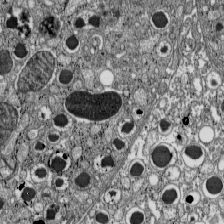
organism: C57BL Mouse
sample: Pancreatic islet